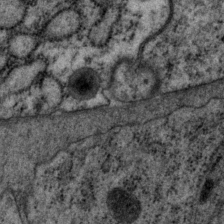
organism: P. pacificus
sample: Pharynx